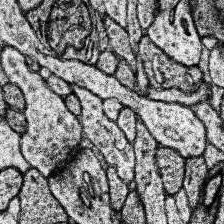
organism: Human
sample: Temporal Lobe